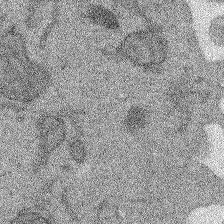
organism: Human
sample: HeLa cells